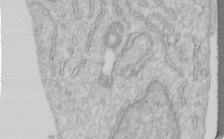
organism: Human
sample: Centriole in RPE cells